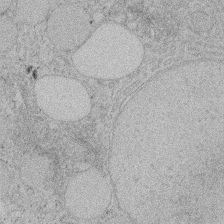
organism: Rat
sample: Salivary granule